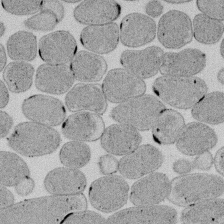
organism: E. coli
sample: Bacterial nucleoid